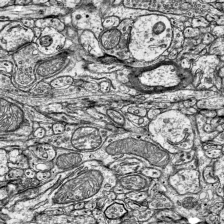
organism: Mouse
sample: Visual Cortex